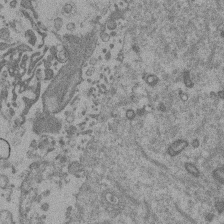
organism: Mouse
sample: Dividing mouse embryo 1 cell stage